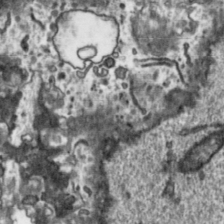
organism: Toxoplasma gondii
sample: Parasites in a vacuole inside a host cell